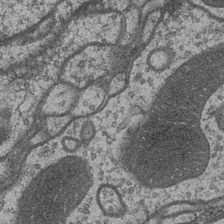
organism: Drosophila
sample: Optic medulla